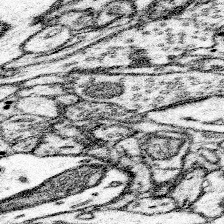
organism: Mouse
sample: Somatosensory cortex neuropil